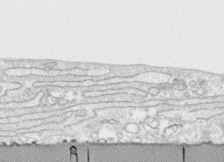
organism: Human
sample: CRL-1474